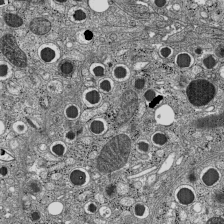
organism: C57BL Mouse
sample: Pancreatic islet